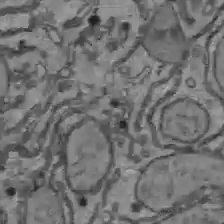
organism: C57BL Mouse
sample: Liver